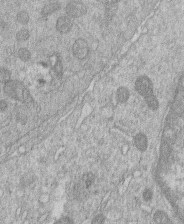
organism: Human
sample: Macrophage cells